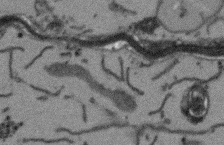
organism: Arabidopsis thaliana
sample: Root tip